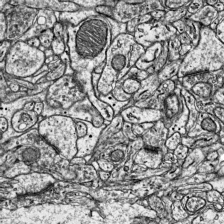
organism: Mouse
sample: Visual Cortex